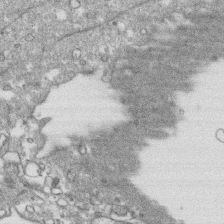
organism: Human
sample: CRL-1474